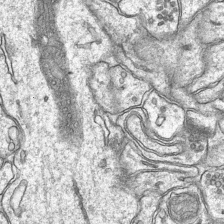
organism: Mouse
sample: CA1 Hippocampus